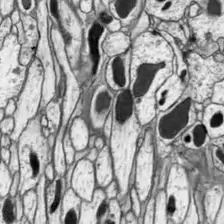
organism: Drosophila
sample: Optic lobe